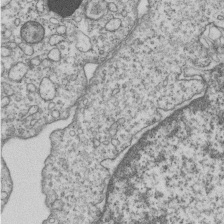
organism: Human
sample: MDA-MB-231 cells